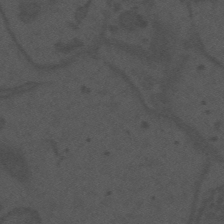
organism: Mouse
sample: Suprachiasmatic nucleus